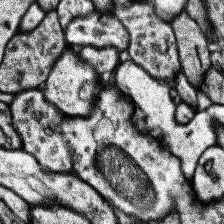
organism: Human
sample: Temporal Lobe